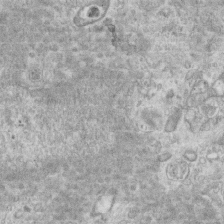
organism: Mouse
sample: Centriole in ependymal cells